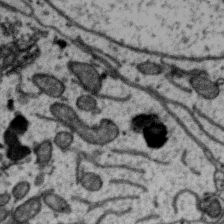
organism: Zebra finch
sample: Brain